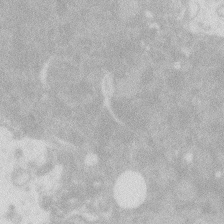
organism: Zebrafish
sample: Macrophage